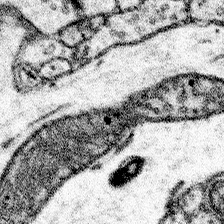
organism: Mouse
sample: Somatosensory cortex neuropil